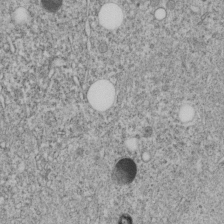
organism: C. elegans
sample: C. elegans embryo early stage